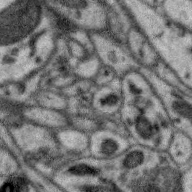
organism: Zebra finch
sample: Brain